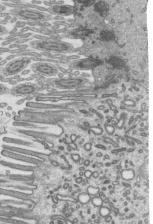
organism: Mouse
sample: Mouse epididymis efferent ductule cilia